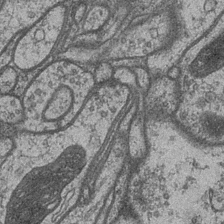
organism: Drosophila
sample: Optic medulla